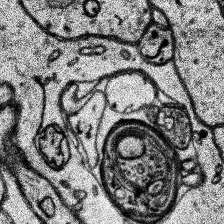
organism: Human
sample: Temporal Lobe